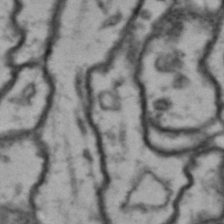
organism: Drosophila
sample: Brain